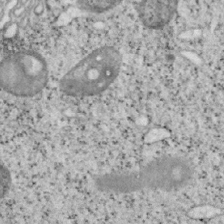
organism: Mouse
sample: OT-I killer T cells with ID8 ovarian cancer cells